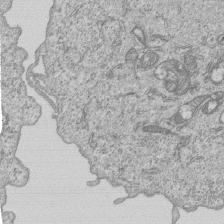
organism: Human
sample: MDA-MB-231 cells